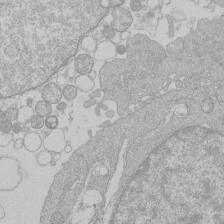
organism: Human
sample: Macrophage cells